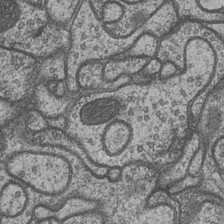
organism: Drosophila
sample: Optic medulla